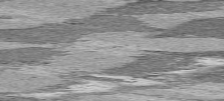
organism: C57BL Mouse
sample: Heart